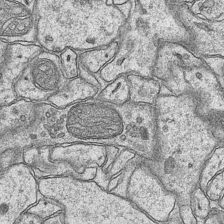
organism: Mouse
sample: CA1 Hippocampus